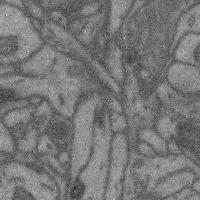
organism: Mouse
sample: Cerebral cortex